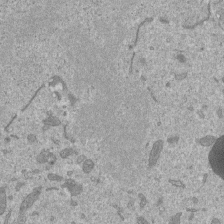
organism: Mouse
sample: ED-1 cell nuclei; centrioles